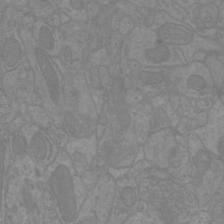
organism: Mouse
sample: Cortical neurons